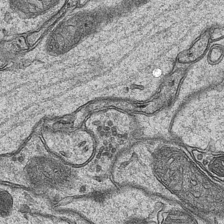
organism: Mouse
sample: CA1 Hippocampus